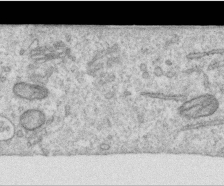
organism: Human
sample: Centriole in RPE cells